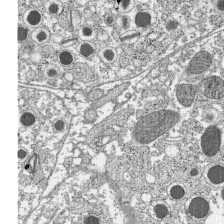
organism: C57BL Mouse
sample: Pancreatic islet